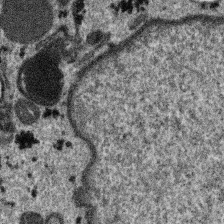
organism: Human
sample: Lung epithelial cells infected with SARS-CoV-2